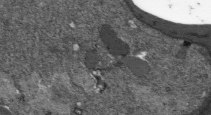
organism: Plasmodium falciparum